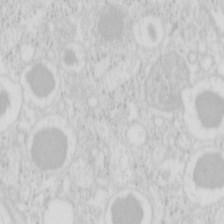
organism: Mouse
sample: Pancreas